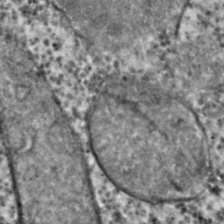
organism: C. elegans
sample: C. elegans embryo